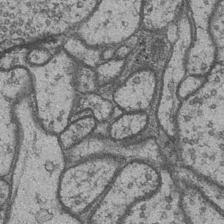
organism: Drosophila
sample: Optic medulla